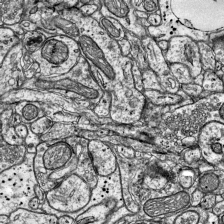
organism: Mouse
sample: Visual Cortex